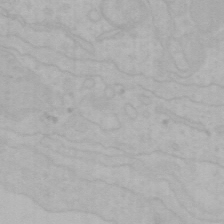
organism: Mouse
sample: Choroid plexus